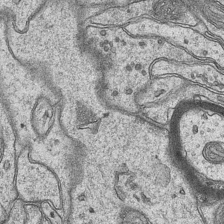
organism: Mouse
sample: CA1 Hippocampus